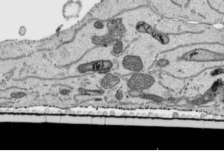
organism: Human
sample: Mitochondria in HCT116 cells